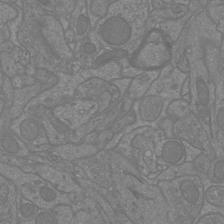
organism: Mouse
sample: Cortical neurons